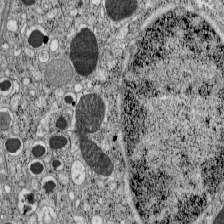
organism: C57BL Mouse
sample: Pancreatic islet